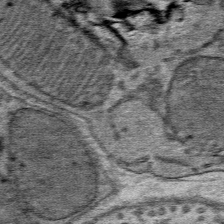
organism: Mouse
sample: Mouse Salivary gland